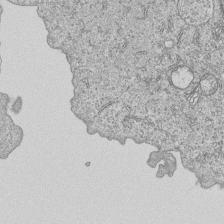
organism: Human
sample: MDA-MB-231 cells